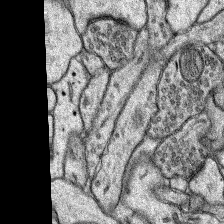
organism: Rat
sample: Hippocampus